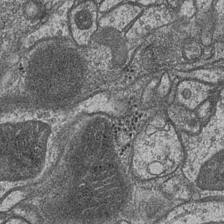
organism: Drosophila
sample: Optic medulla